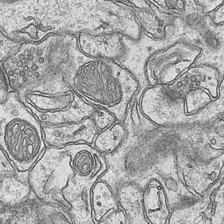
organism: Mouse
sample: CA1 Hippocampus